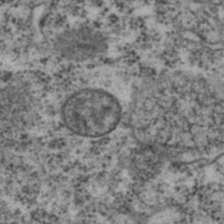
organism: C. elegans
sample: C. elegans embryo